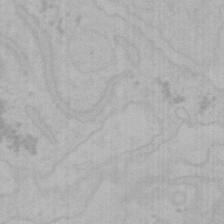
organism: Mouse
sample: Choroid plexus